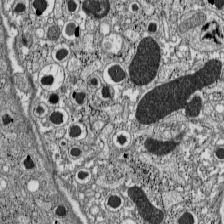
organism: C57BL Mouse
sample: Pancreatic islet